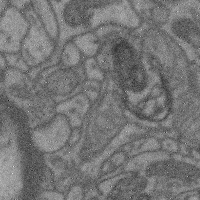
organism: Mouse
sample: Cerebral cortex